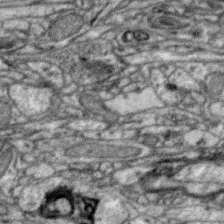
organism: Zebra finch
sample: Brain